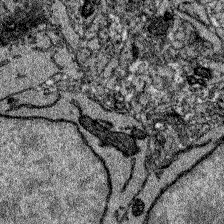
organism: Zebrafish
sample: Larval olfactory bulb